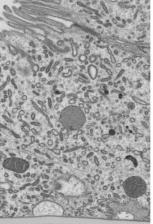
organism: Mouse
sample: Mouse epididymis efferent ductule cilia